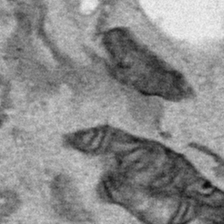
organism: Human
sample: Mitochondria in HCT116 cells